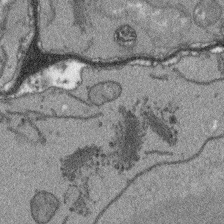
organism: Arabidopsis thaliana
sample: Root tip